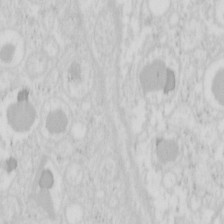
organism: Mouse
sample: Pancreas